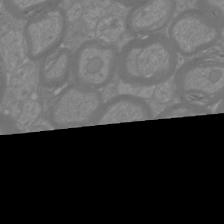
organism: Mouse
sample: Cortical neurons